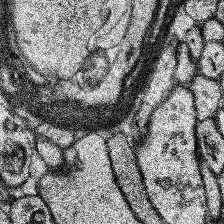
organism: Human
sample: Temporal Lobe